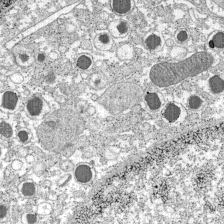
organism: C57BL Mouse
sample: Pancreatic islet